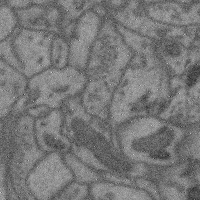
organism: Mouse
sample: Cerebral cortex